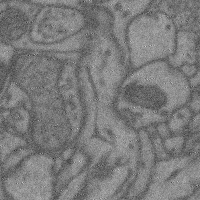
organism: Mouse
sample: Cerebral cortex